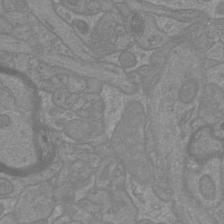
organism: Mouse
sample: Cortical neurons